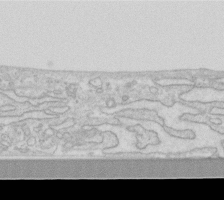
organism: Human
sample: Fibroblast cells